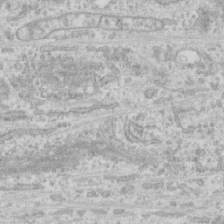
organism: Human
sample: CRL-1474